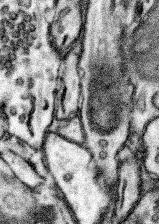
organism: Mouse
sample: Somatosensory cortex neuropil